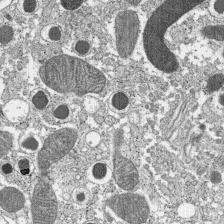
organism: C57BL Mouse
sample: Pancreatic islet